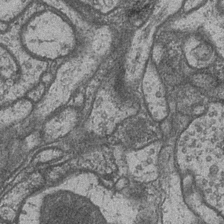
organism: Drosophila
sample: Optic medulla